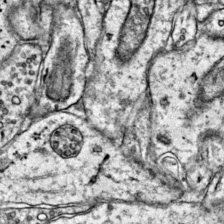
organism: Mouse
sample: Primary visual cortex